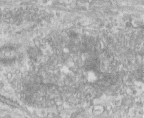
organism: Human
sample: Centriole in fibroblast cells